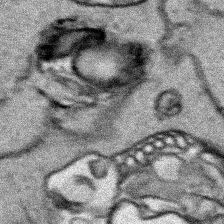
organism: Human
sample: Mitochondria in HCT116 cells